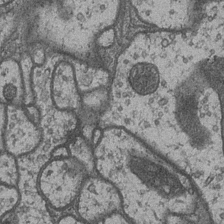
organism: Drosophila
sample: Optic medulla